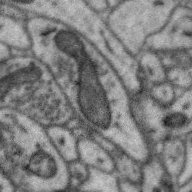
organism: Zebra finch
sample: Brain